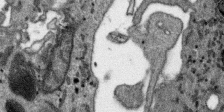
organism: Human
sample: Lung epithelial cells, uninfected (mock) control